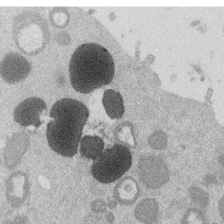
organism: Mouse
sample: Dividing mouse embryo 1 cell stage